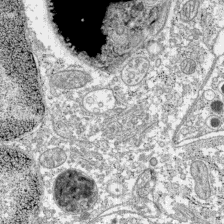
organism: C57BL Mouse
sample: Pancreatic islet